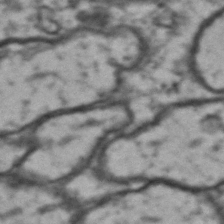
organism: Drosophila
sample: Brain